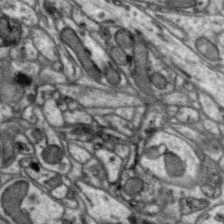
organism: Zebra finch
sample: Brain